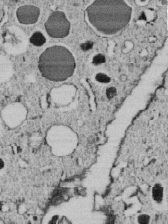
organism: C. elegans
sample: C. elegans embryo early stage